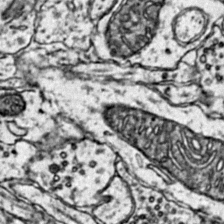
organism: Mouse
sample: Primary visual cortex